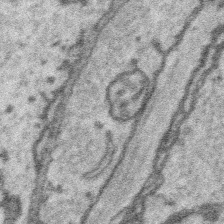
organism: Platynereis dumerilii